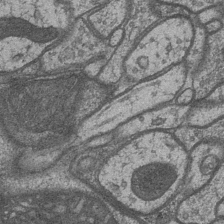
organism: Drosophila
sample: Optic medulla